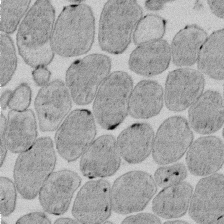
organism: E. coli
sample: Bacterial nucleoid